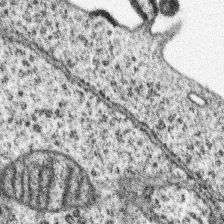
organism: Human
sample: HeLa cells